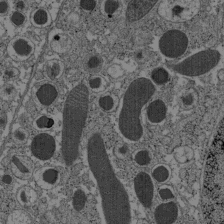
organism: C57BL Mouse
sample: Pancreatic islet